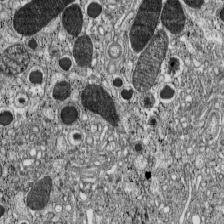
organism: C57BL Mouse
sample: Pancreatic islet